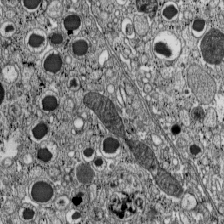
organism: C57BL Mouse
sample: Pancreatic islet